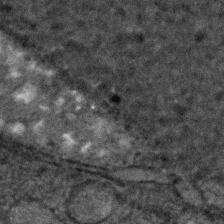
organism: C. elegans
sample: C. elegans embryo